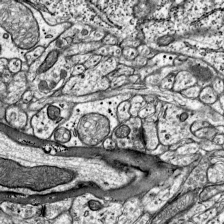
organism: Mouse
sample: Visual Cortex